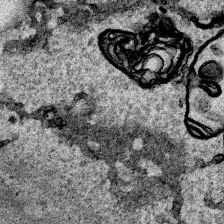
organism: Human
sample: Mitochondria in HCT116 cells